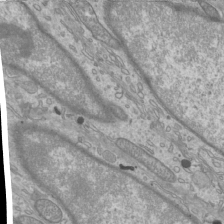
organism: Mouse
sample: Cilia; mouse epididymis